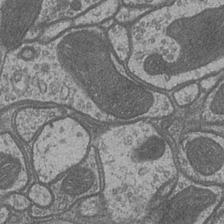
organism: Drosophila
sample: Optic medulla